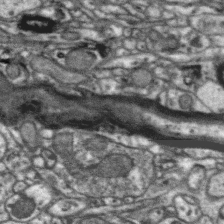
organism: Zebra finch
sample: Brain